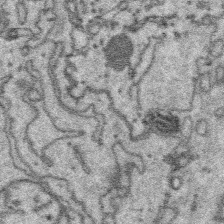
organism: Platynereis dumerilii